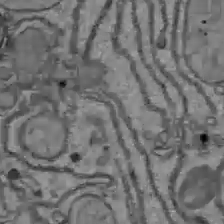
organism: C57BL Mouse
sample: Liver